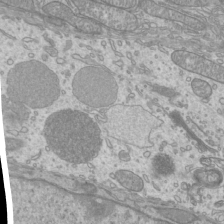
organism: Mouse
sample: Cilia; mouse epididymis